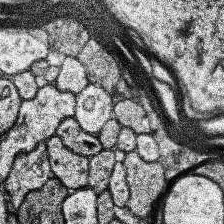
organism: Human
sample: Temporal Lobe